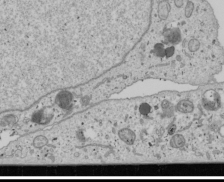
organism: Human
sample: Mitochondria in U2OS cells